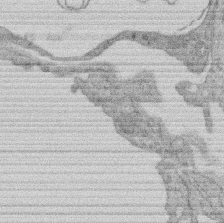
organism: Rat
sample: Salivary granule